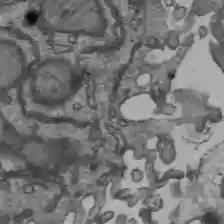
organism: C57BL Mouse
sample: Liver